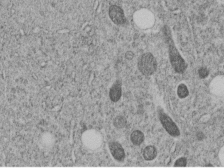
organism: C. elegans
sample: C. elegans embryo early stage